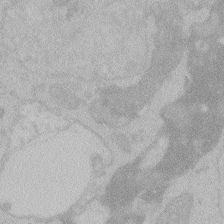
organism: Zebrafish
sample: Macrophage infected with Toxoplasma gondii